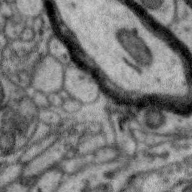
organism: Zebra finch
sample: Brain